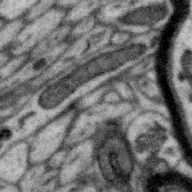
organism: Zebra finch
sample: Brain